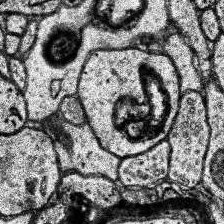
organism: Human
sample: Temporal Lobe